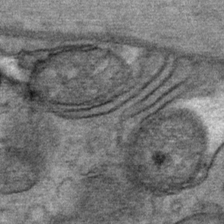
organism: Mouse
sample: Mouse Salivary gland